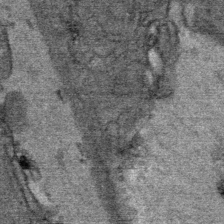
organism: Mouse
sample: Mouse Salivary gland